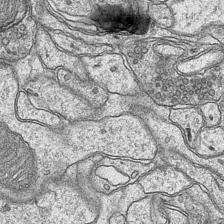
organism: Mouse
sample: CA1 Hippocampus